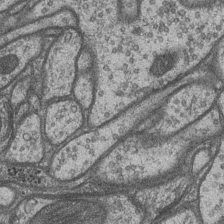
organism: Drosophila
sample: Optic medulla